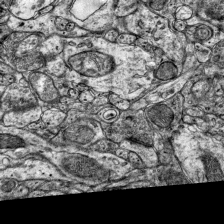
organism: Mouse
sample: Visual Cortex